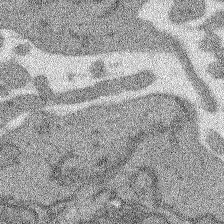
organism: Human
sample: HeLa cells